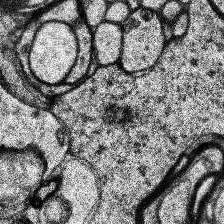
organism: Human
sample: Temporal Lobe